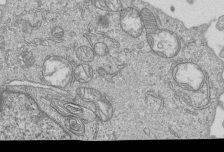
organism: Human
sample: MDA-MB-231 cells